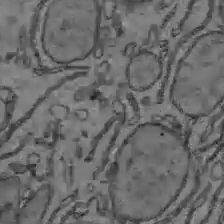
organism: C57BL Mouse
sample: Liver